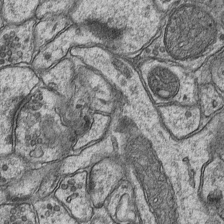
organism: Mouse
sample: CA1 Hippocampus